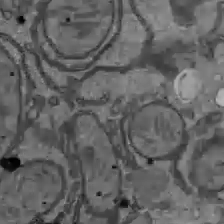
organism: C57BL Mouse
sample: Liver